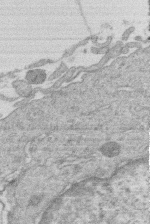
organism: Human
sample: Macrophage cells